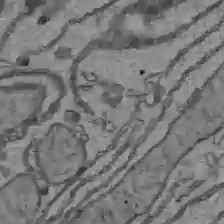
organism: C57BL Mouse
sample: Liver